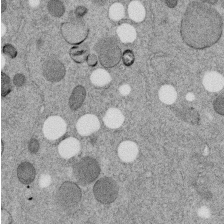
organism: C. elegans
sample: C. elegans embryo early stage